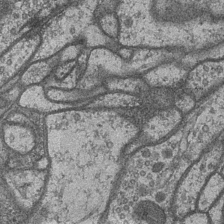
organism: Drosophila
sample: Optic medulla